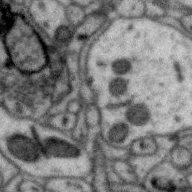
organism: Zebra finch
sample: Brain